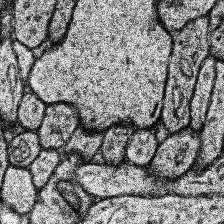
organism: Human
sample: Temporal Lobe